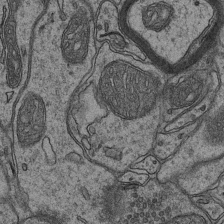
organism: Mouse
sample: CA1 Hippocampus